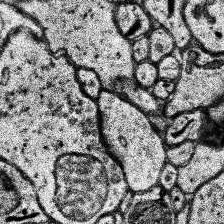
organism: Human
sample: Temporal Lobe